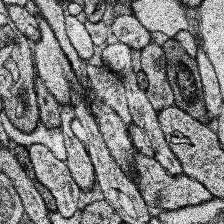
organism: Human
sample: Temporal Lobe